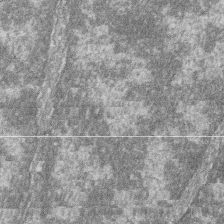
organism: Zebrafish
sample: Cilia; retinal pigment epithelium